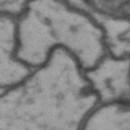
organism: Drosophila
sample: Brain